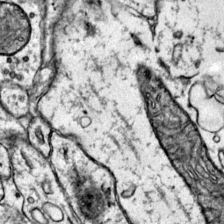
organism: Mouse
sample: Primary visual cortex